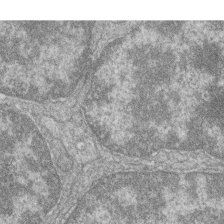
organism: Zebrafish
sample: Cilia; retinal pigment epithelium